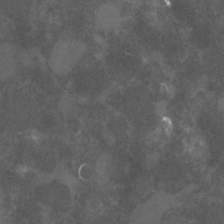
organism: C. elegans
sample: C. elegans embryo